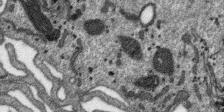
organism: Human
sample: Lung epithelial cells infected with SARS-CoV-2